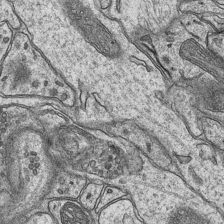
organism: Mouse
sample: CA1 Hippocampus